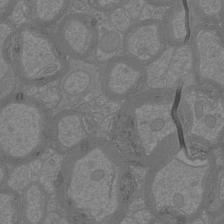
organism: Mouse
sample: Cortical neurons